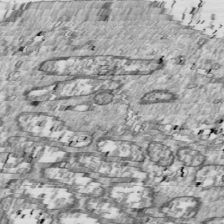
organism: Drosophila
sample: Cell division; meiosis; drosophila spermatocytes